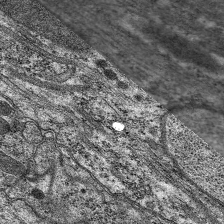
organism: C. elegans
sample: Pharynx